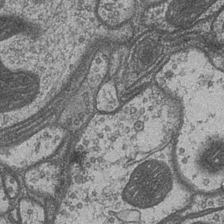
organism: Drosophila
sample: Optic medulla